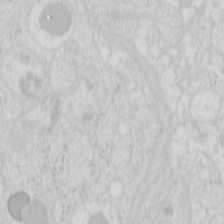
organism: Mouse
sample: Pancreas